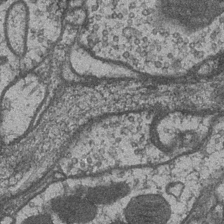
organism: Drosophila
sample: Optic medulla